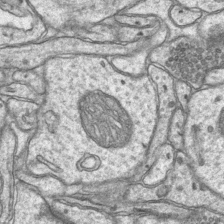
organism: Mouse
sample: CA1 Hippocampus